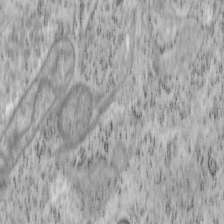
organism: Human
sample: HeLa cells